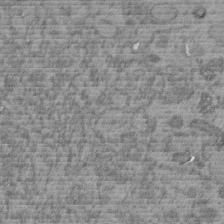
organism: C. elegans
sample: C. elegans embryo early stage